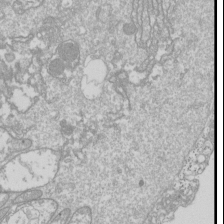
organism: Drosophila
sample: Cell division; meiosis; drosophila spermatocytes